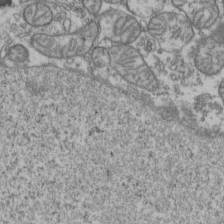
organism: Human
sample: Activated Jurkat CD4+ T cells